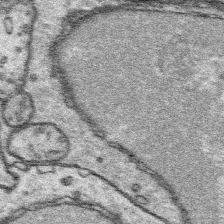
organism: Platynereis dumerilii